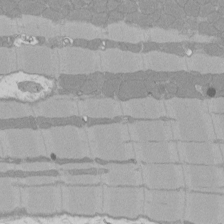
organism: Rat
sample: Left ventricle